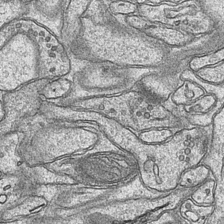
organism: Mouse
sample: CA1 Hippocampus